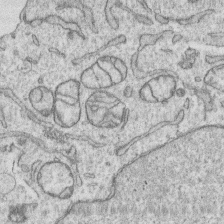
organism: Human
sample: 1205lu cells